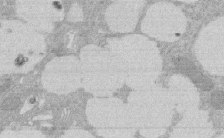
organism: Rat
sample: Salivary granule